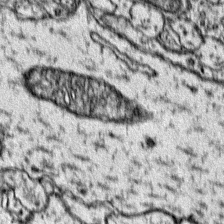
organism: Mouse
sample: Primary visual cortex